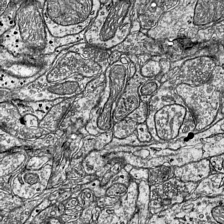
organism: Mouse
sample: Visual Cortex